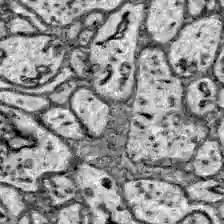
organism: Zebrafish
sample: Brain